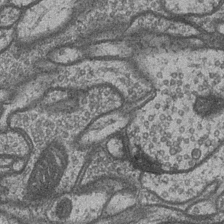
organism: Drosophila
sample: Optic medulla